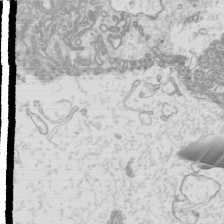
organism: Mouse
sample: Cilia; mouse epididymis